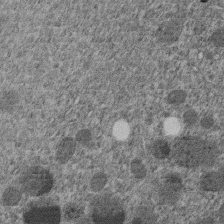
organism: C. elegans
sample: C. elegans embryo early stage